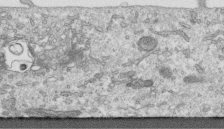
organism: Human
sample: Centriole in RPE cells